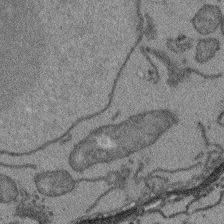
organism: Arabidopsis thaliana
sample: Root tip